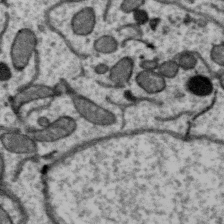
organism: Zebra finch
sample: Brain